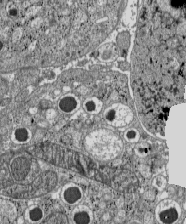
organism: C57BL Mouse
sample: Pancreatic islet